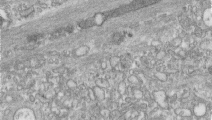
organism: Human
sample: Centriole in RPE cells